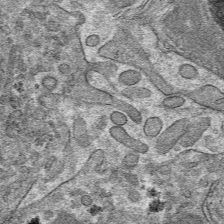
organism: Mouse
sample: Mouse hepatocytes